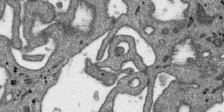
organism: Human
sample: Lung epithelial cells, uninfected (mock) control